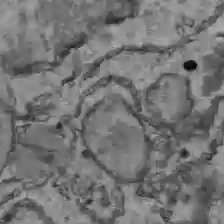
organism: C57BL Mouse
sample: Liver